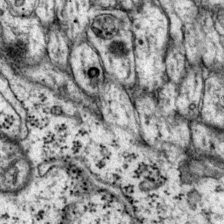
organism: Mouse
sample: Primary visual cortex